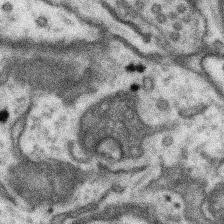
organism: Mouse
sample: Somatosensory cortex neuropil